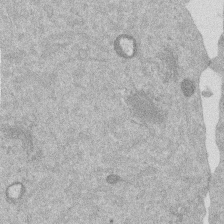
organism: Mouse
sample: Dividing mouse embryo 1 cell stage